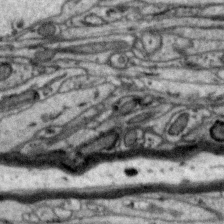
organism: Zebra finch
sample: Brain